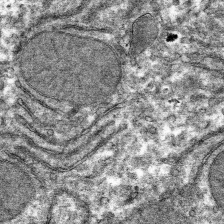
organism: Mouse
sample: Mouse hepatocytes